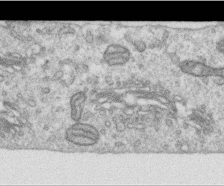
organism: Human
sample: Centriole in RPE cells